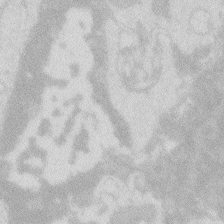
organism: Zebrafish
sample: Macrophage